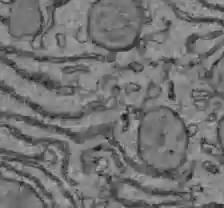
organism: C57BL Mouse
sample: Liver